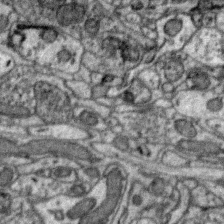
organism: Zebra finch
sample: Brain